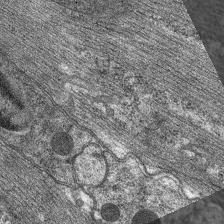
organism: C. elegans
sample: Pharynx